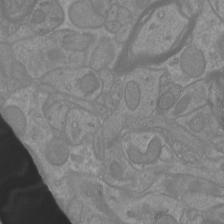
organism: Mouse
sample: Cortical neurons